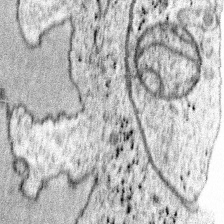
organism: Human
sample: HeLa cells